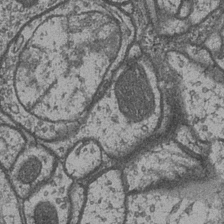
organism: Drosophila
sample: Optic medulla